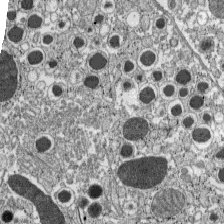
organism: C57BL Mouse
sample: Pancreatic islet